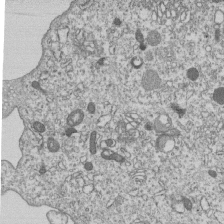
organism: Human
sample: MDA-MB-231 cells